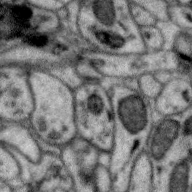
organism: Zebra finch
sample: Brain